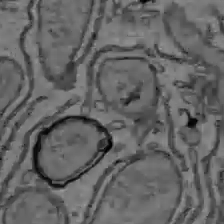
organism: C57BL Mouse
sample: Liver